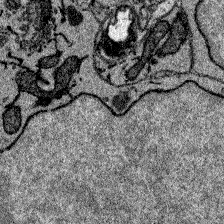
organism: Zebrafish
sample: Larval olfactory bulb